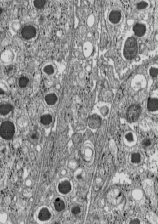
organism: C57BL Mouse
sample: Pancreatic islet